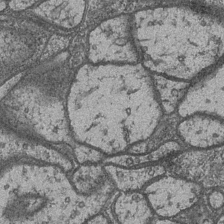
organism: Drosophila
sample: Optic medulla